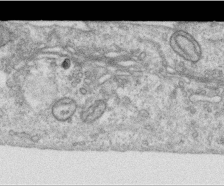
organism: Human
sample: Centriole in RPE cells